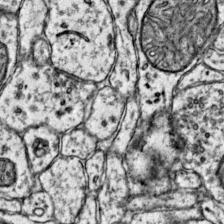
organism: Mouse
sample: Primary visual cortex